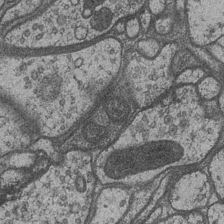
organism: Drosophila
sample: Optic medulla